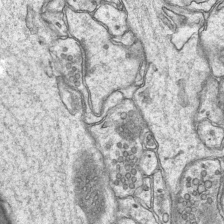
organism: Mouse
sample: CA1 Hippocampus